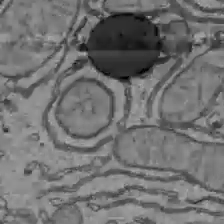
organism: C57BL Mouse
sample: Liver